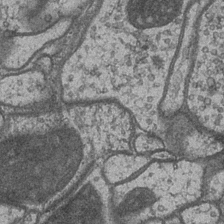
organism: Drosophila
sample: Optic medulla